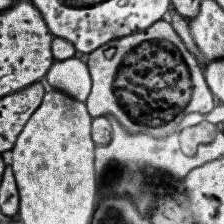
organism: Human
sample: Temporal Lobe